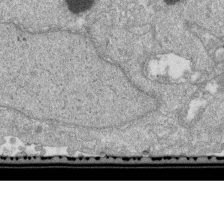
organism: Human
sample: HeLa cell HIV synapse